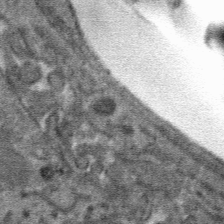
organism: Mouse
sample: Mouse hepatocytes